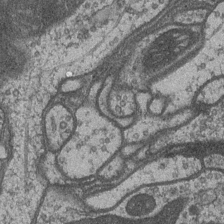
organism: Drosophila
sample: Optic medulla